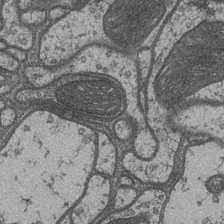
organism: Drosophila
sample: Optic medulla